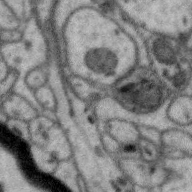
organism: Zebra finch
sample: Brain